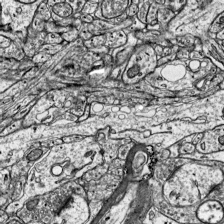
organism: Mouse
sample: Visual Cortex